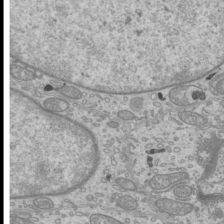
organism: Mouse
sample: Cilia; mouse epididymis